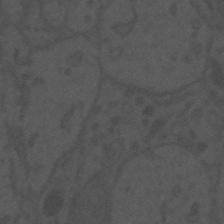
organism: Mouse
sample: Suprachiasmatic nucleus